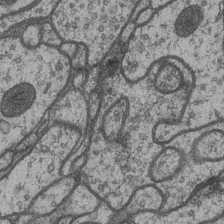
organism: Drosophila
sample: Optic medulla